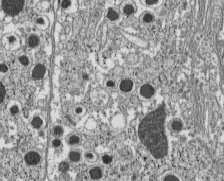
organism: C57BL Mouse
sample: Pancreatic islet